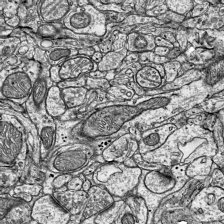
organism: Mouse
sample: Visual Cortex